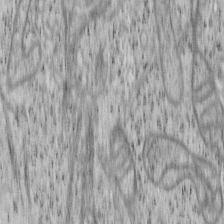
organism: Human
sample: HeLa cells